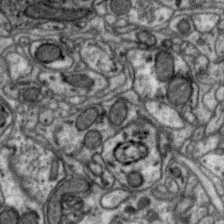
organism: Zebra finch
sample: Brain